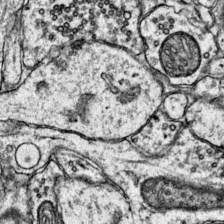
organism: Mouse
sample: Primary visual cortex